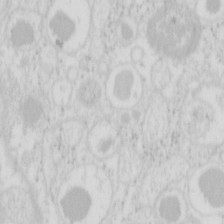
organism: Mouse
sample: Pancreas